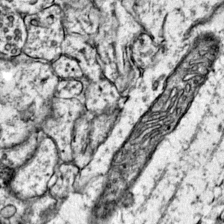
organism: Mouse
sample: Primary visual cortex